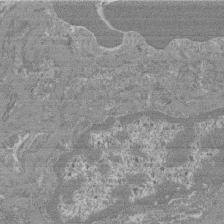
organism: Mouse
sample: Glomerulus